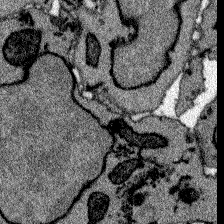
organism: Zebrafish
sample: Larval olfactory bulb